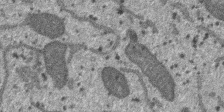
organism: Human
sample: Lung epithelial cells infected with SARS-CoV-2